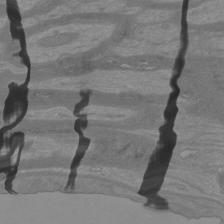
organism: Mouse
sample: Cortical neurons